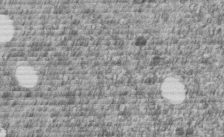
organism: C. elegans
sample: C. elegans embryo early stage